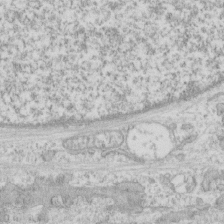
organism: Human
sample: CRL-1474